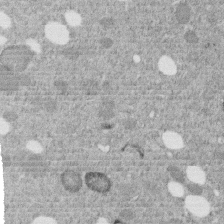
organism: C. elegans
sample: C. elegans embryo early stage